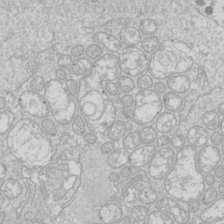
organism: Drosophila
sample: Cell division; meiosis; drosophila spermatocytes